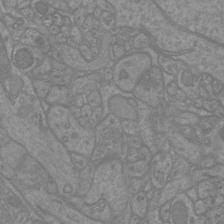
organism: Mouse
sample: Cortical neurons